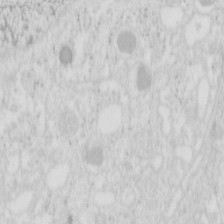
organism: Mouse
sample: Pancreas